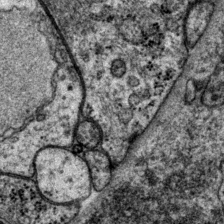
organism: P. pacificus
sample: Pharynx